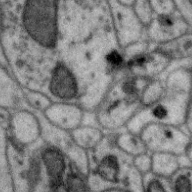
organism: Zebra finch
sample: Brain